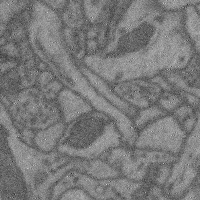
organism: Mouse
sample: Cerebral cortex